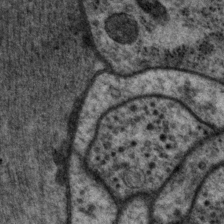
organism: P. pacificus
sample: Pharynx